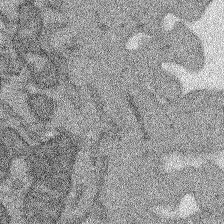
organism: Human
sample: HeLa cells